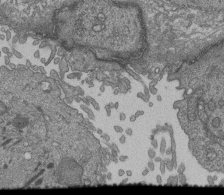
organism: Human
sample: Retinal organoid Rod and Cone cells